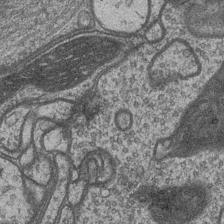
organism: Drosophila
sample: Optic medulla